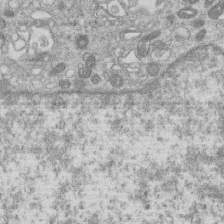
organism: Human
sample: Macrophage cells